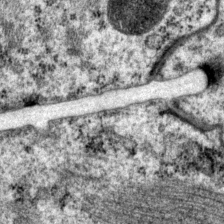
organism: P. pacificus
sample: Pharynx